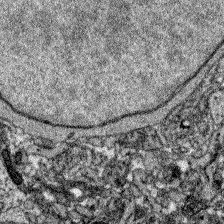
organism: Zebrafish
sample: Larval olfactory bulb